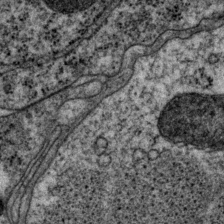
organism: P. pacificus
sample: Pharynx